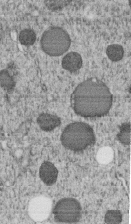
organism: C. elegans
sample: C. elegans embryo early stage